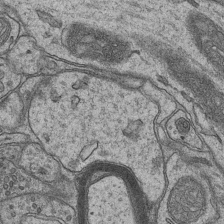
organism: Mouse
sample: CA1 Hippocampus